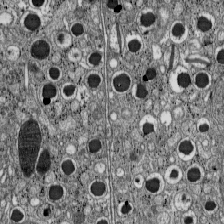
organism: C57BL Mouse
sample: Pancreatic islet